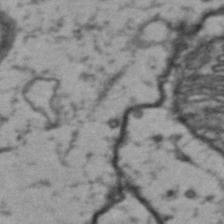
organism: Drosophila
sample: Brain